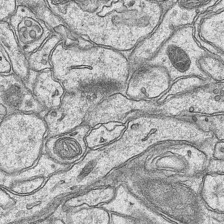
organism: Mouse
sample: CA1 Hippocampus